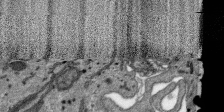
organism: Human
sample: Lung epithelial cells, uninfected (mock) control